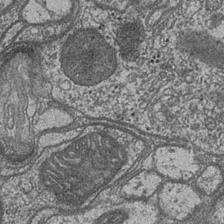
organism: Drosophila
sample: Optic medulla